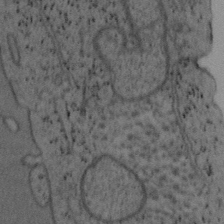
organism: Human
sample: HeLa cells